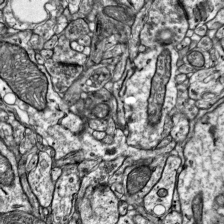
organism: Mouse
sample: Visual Cortex